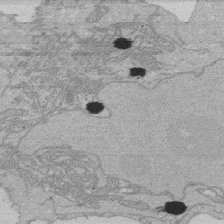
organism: Human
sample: Activated Jurkat CD4+ T cells